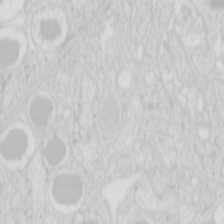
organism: Mouse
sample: Pancreas